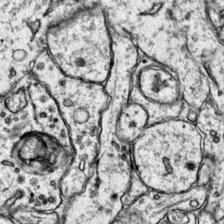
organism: Mouse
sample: Primary visual cortex